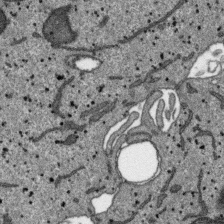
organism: Human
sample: Lung epithelial cells, uninfected (mock) control